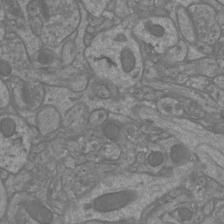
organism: Mouse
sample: Cortical neurons